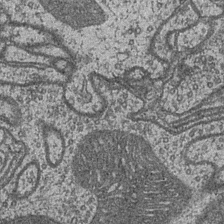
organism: Drosophila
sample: Optic medulla